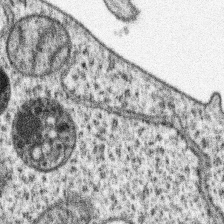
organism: Human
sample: HeLa cells